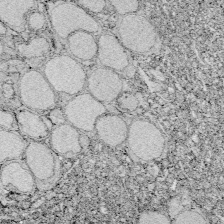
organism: Zebrafish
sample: Whole-Brain